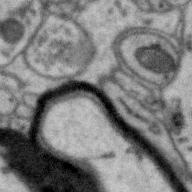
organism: Zebra finch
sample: Brain